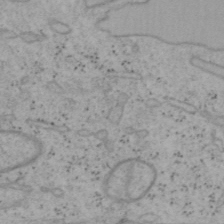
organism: Human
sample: HeLa cells